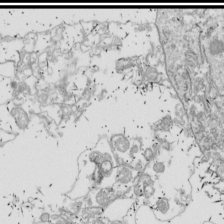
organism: Drosophila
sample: Cell division; meiosis; drosophila spermatocytes